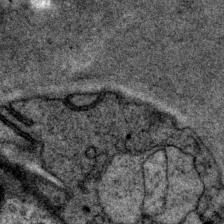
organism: P. pacificus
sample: Pharynx